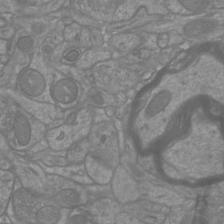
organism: Mouse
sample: Cortical neurons